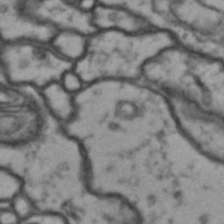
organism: Drosophila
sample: Brain